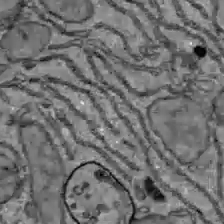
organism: C57BL Mouse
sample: Liver